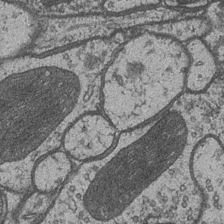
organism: Drosophila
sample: Optic medulla